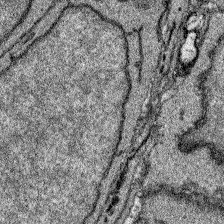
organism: Zebrafish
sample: Larval olfactory bulb